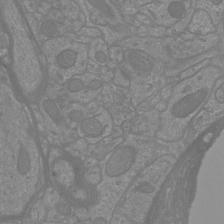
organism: Mouse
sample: Cortical neurons